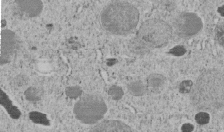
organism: C. elegans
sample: C. elegans embryo early stage